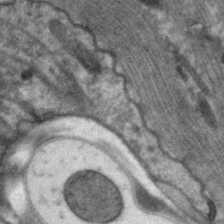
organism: C. elegans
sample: Pharynx